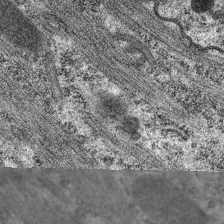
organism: C. elegans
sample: Pharynx